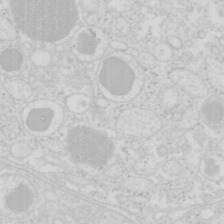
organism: Mouse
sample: Pancreas